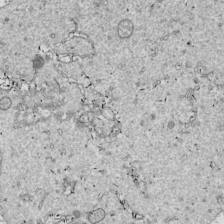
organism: Drosophila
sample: Cell division; meiosis; drosophila spermatocytes